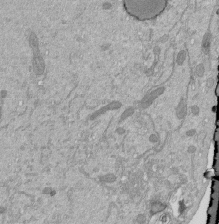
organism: Mouse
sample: ED-1 cell nuclei; centrioles